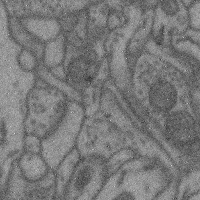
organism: Mouse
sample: Cerebral cortex